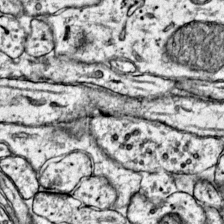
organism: Mouse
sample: Primary visual cortex